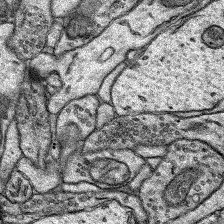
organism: Rat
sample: Hippocampus